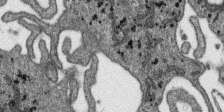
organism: Human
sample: Lung epithelial cells infected with SARS-CoV-2